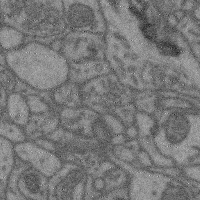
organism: Mouse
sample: Cerebral cortex